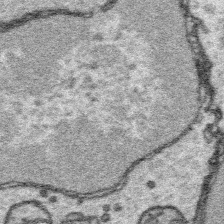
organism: Platynereis dumerilii